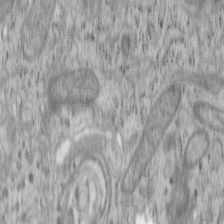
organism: Human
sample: HeLa cells